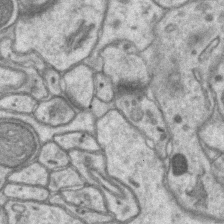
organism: Mouse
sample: CA1 Hippocampus